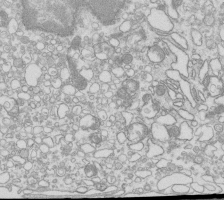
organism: Mouse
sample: Macrophages